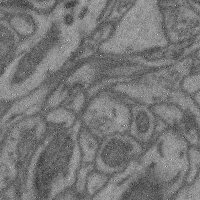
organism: Mouse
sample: Cerebral cortex